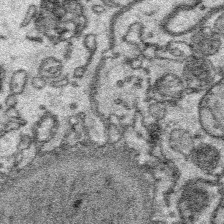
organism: Platynereis dumerilii